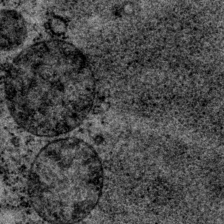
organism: P. pacificus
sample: Pharynx